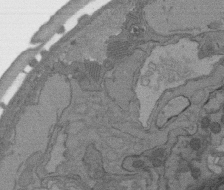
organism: C. elegans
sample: AFD neurons C. elegans